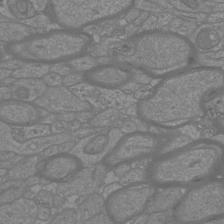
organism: Mouse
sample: Cortical neurons